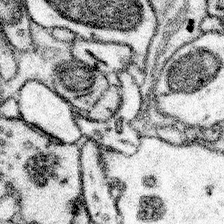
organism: Mouse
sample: Somatosensory cortex neuropil